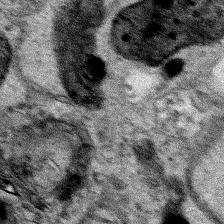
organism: Human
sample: Mitochondria in HCT116 cells